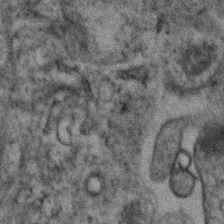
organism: Human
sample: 1205lu cells